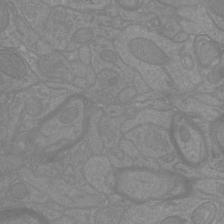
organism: Mouse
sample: Cortical neurons